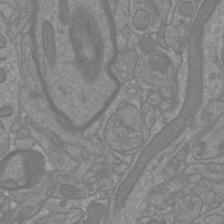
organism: Mouse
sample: Cortical neurons